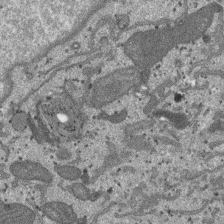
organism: Human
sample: Lung epithelial cells infected with SARS-CoV-2